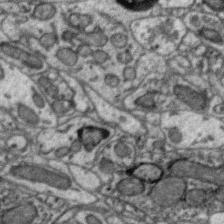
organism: Zebra finch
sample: Brain